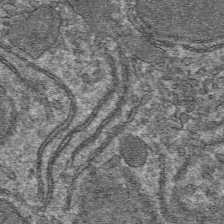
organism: Mouse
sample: Mouse hepatocytes